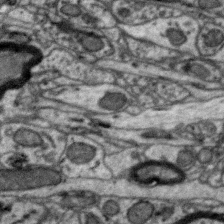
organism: Zebra finch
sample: Brain